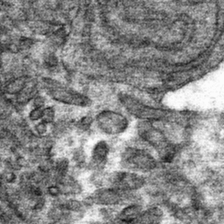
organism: Mouse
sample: Mouse hepatocytes